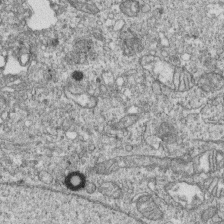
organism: Human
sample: HeLa cell HIV synapse